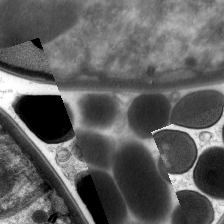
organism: C. elegans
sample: Pharynx